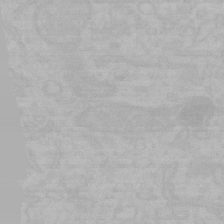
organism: Mouse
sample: Choroid plexus